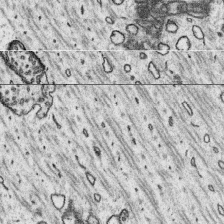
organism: Platynereis dumerilii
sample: Parapodia